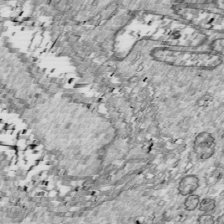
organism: Drosophila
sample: Cell division; meiosis; drosophila spermatocytes